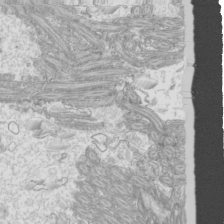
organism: Mouse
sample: Cilia; mouse epididymis